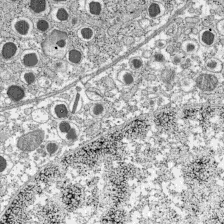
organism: C57BL Mouse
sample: Pancreatic islet